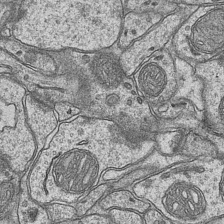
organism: Mouse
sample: CA1 Hippocampus